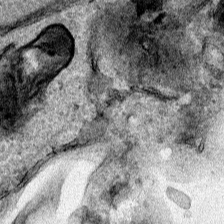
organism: Human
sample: Mitochondria in HCT116 cells